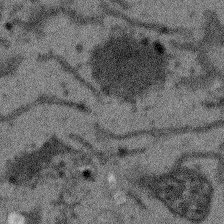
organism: Arabidopsis thaliana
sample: Root tip